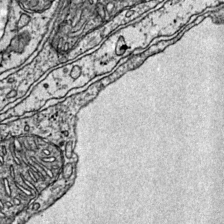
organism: Mouse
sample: Primary visual cortex